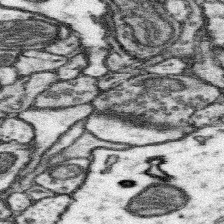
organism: Mouse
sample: Somatosensory cortex neuropil